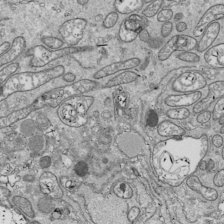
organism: Drosophila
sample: Cell division; meiosis; drosophila spermatocytes